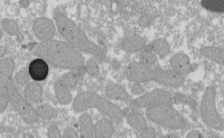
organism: Xenopus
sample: Cilia; centrioles in frog embryo cells